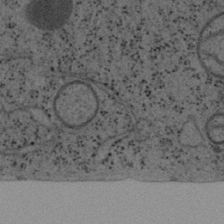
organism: Human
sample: HeLa cells